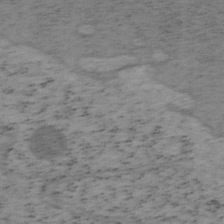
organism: Mouse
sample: OT-I killer T cells with ID8 ovarian cancer cells